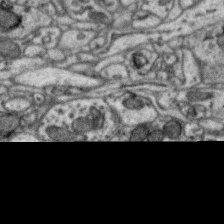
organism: Zebra finch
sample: Brain